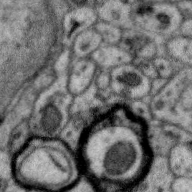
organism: Zebra finch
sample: Brain